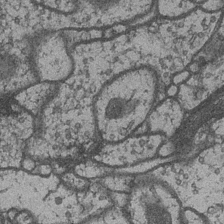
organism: Drosophila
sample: Optic medulla